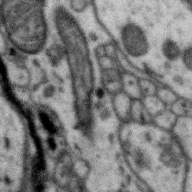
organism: Zebra finch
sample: Brain